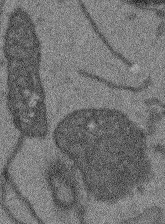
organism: Arabidopsis thaliana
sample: Root tip